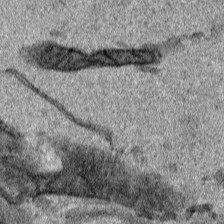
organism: Human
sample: Mitochondria in HCT116 cells